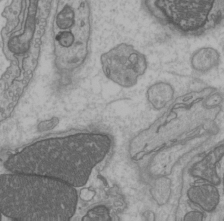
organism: C57BL Mouse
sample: Heart